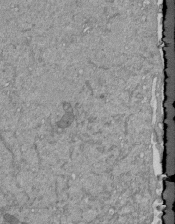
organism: Mouse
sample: ED-1 cell nuclei; centrioles